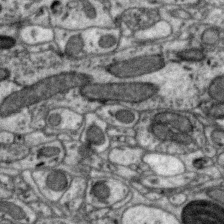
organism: Zebra finch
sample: Brain